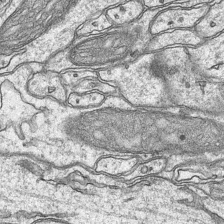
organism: Mouse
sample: CA1 Hippocampus